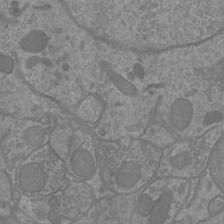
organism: Mouse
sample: Cortical neurons